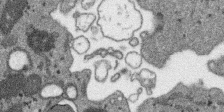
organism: Human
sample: Lung epithelial cells infected with SARS-CoV-2